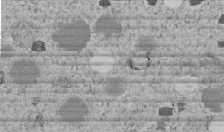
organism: C. elegans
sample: C. elegans embryo early stage